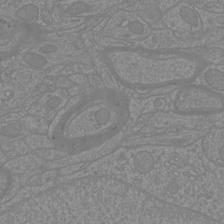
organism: Mouse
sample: Cortical neurons